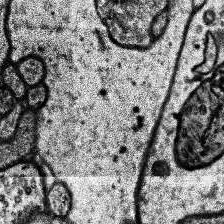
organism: Human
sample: Temporal Lobe